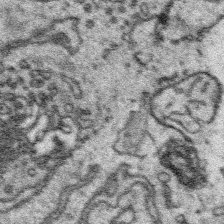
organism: Platynereis dumerilii